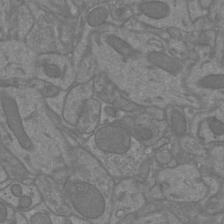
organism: Mouse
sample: Cortical neurons